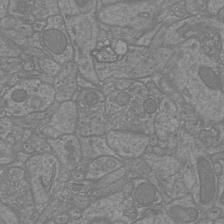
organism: Mouse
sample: Cortical neurons